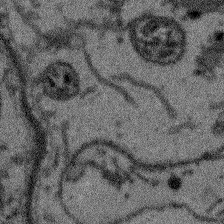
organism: Arabidopsis thaliana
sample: Root tip